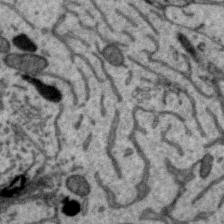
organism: Zebra finch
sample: Brain